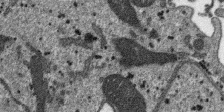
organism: Human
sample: Lung epithelial cells infected with SARS-CoV-2